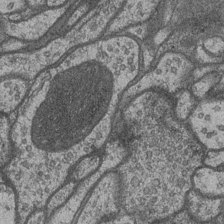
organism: Drosophila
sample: Optic medulla